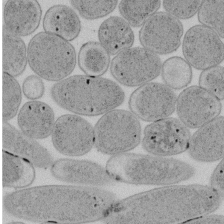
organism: E. coli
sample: Bacterial nucleoid